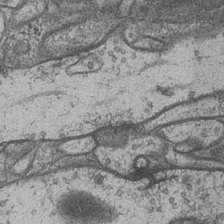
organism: Drosophila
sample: Optic medulla